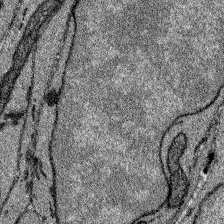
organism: Zebrafish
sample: Larval olfactory bulb